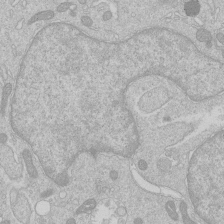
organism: Human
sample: Macrophage cells